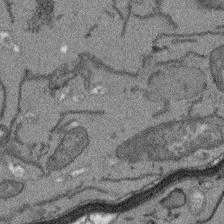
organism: Arabidopsis thaliana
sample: Root tip